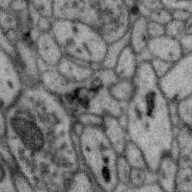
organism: Zebra finch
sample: Brain